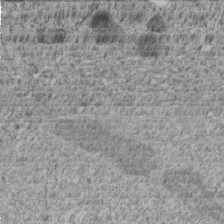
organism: C. elegans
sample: C. elegans embryo early stage